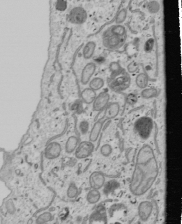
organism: Human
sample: Mitochondria in U2OS cells